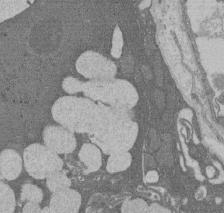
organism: Rat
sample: Salivary granule